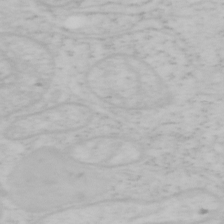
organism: Mouse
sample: OT-I killer T cells with ID8 ovarian cancer cells